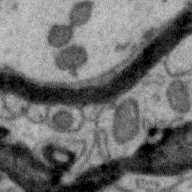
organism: Zebra finch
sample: Brain